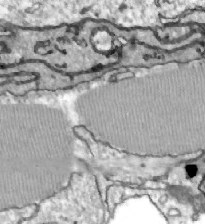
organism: Zebrafish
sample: Actinotrichia fibers